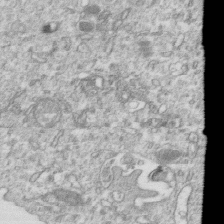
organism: Mouse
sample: Activated OT-1 CD8+ T cells